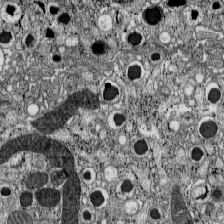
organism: C57BL Mouse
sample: Pancreatic islet